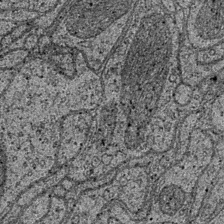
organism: Drosophila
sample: Optic medulla